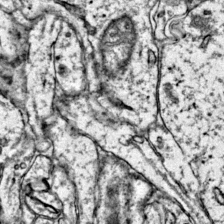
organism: Mouse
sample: Primary visual cortex